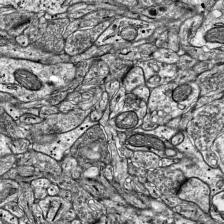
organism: Mouse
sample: Visual Cortex